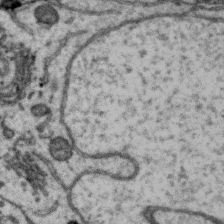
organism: Zebra finch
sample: Brain